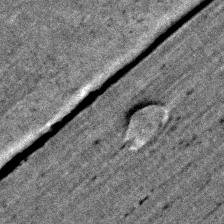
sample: Trachea